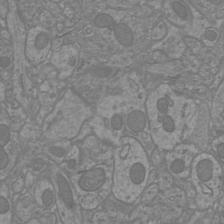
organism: Mouse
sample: Cortical neurons